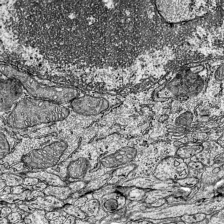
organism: Mouse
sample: Visual Cortex